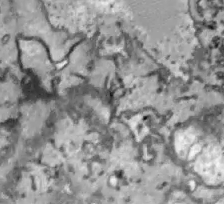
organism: Zebrafish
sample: Actinotrichia fibers